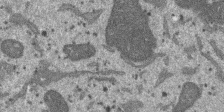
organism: Human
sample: Lung epithelial cells infected with SARS-CoV-2